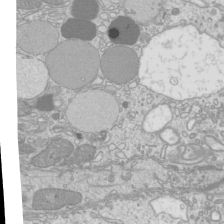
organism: Mouse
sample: Cilia; mouse epididymis